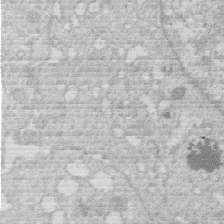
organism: Human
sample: Macrophage cells